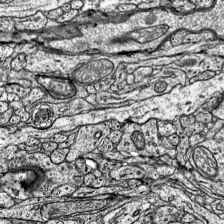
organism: Mouse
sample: Visual Cortex